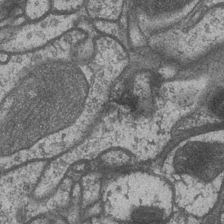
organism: Drosophila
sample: Optic medulla